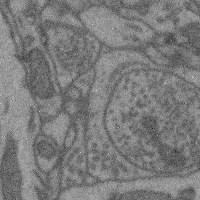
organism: Mouse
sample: Cerebral cortex